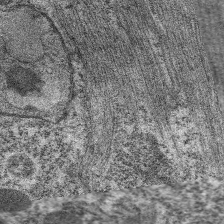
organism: C. elegans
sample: Pharynx